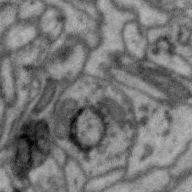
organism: Zebra finch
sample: Brain